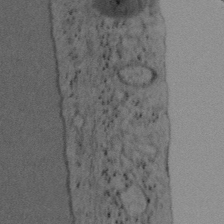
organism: Human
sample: HeLa cells